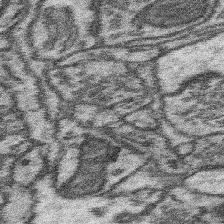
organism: Mouse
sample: Somatosensory cortex neuropil